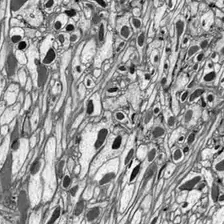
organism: Drosophila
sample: Optic lobe